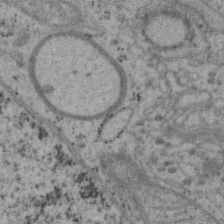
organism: Human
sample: HeLa cells